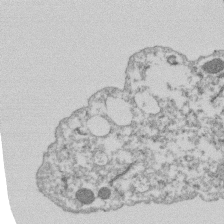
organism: Dictyostelium discoideum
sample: Dictyostelium multivesicular bodies